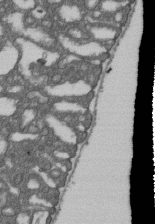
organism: Drosophila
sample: Nephrocyte